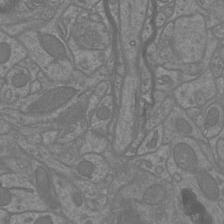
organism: Mouse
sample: Cortical neurons